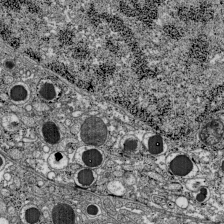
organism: C57BL Mouse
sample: Pancreatic islet